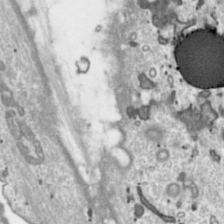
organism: Toxoplasma gondii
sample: Parasites in a vacuole inside a host cell